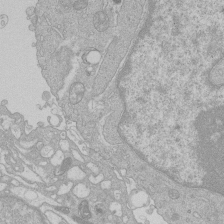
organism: Human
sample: Macrophage cells